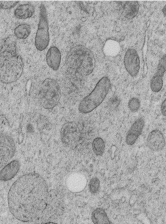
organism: C. elegans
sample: C. elegans embryo early stage